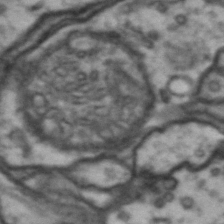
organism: Drosophila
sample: Brain